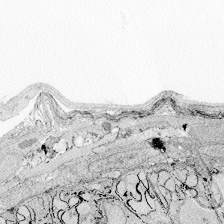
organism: Zebrafish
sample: Whole-Brain